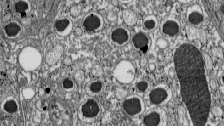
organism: C57BL Mouse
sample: Pancreatic islet